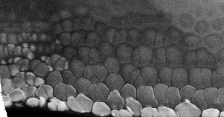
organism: Tetrahymena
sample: Cilia in tetrahymena